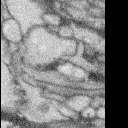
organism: Rabbit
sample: Retina